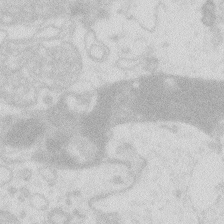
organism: Zebrafish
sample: Macrophage